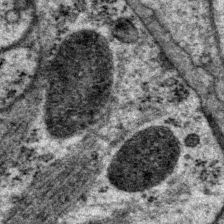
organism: P. pacificus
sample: Pharynx